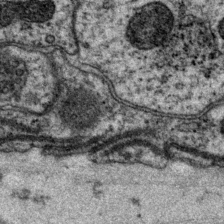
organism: P. pacificus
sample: Pharynx